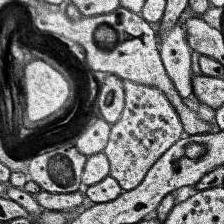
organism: Human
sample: Temporal Lobe